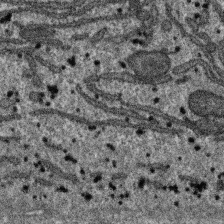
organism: Human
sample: Lung epithelial cells infected with SARS-CoV-2